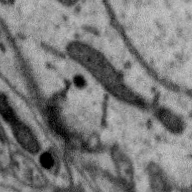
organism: Zebra finch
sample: Brain